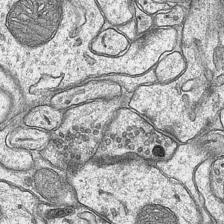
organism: Mouse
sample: CA1 Hippocampus